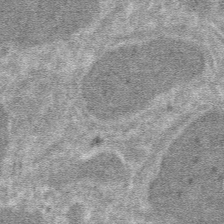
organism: Mouse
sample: Mouse hepatocytes